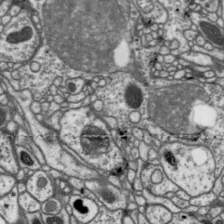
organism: Drosophila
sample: Protocerebral bridge